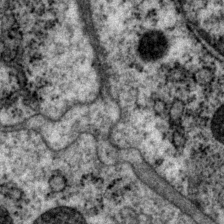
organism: P. pacificus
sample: Pharynx